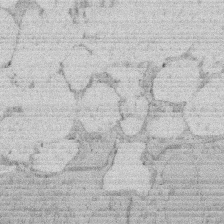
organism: Rat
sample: Salivary granule